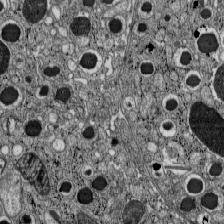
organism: C57BL Mouse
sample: Pancreatic islet